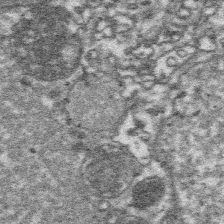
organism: Platynereis dumerilii